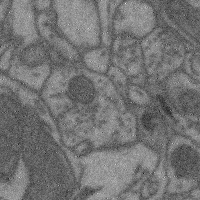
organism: Mouse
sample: Cerebral cortex